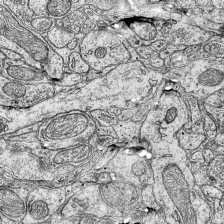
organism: Mouse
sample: Visual Cortex